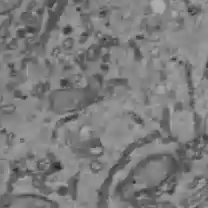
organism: C57BL Mouse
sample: Liver